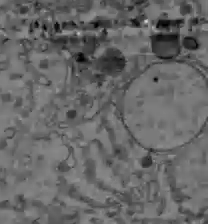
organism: C57BL Mouse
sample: Liver